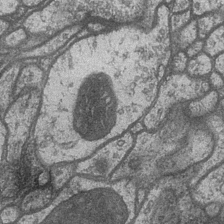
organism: Drosophila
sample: Optic medulla